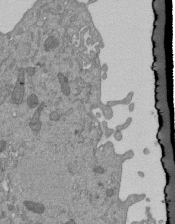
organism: Mouse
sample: ED-1 cell nuclei; centrioles